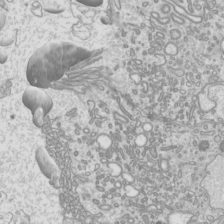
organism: Mouse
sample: Cilia; mouse epididymis